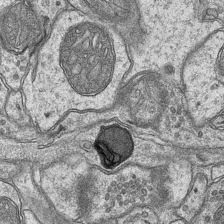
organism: Mouse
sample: CA1 Hippocampus